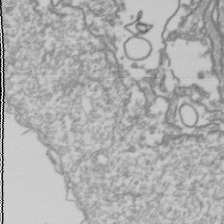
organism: Drosophila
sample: Cell division; meiosis; drosophila spermatocytes